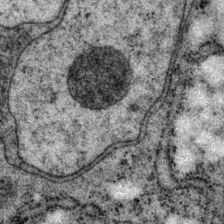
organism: P. pacificus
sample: Pharynx